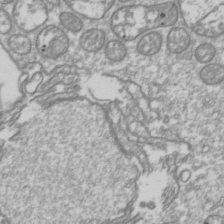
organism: Drosophila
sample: Cell division; meiosis; drosophila spermatocytes